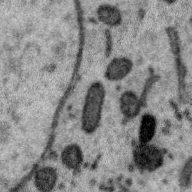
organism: Zebra finch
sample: Brain